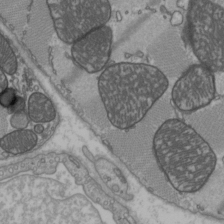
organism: C57BL Mouse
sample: Heart